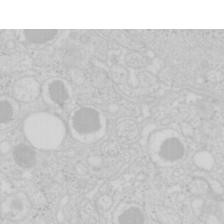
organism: Mouse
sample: Pancreas